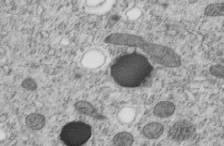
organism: C. elegans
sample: C. elegans embryo early stage